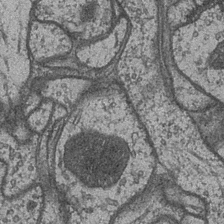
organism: Drosophila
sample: Optic medulla